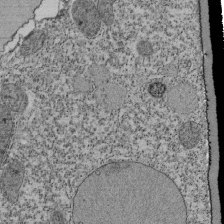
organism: Tetrahymena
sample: Cilia in tetrahymena